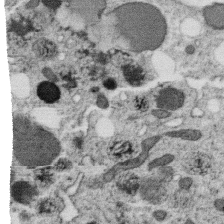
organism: C. elegans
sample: C. elegans oocyte; sperm cells